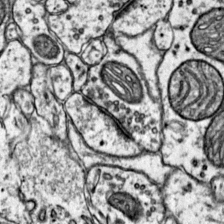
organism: Mouse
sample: Primary visual cortex